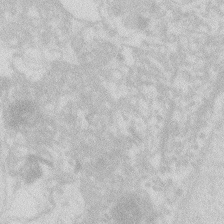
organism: Zebrafish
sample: Macrophage